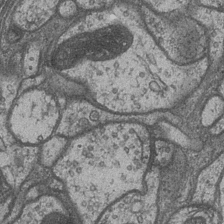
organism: Drosophila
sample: Optic medulla